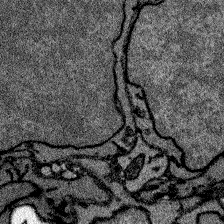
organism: Zebrafish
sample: Larval olfactory bulb